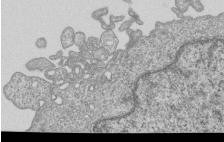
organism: Human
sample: MDA-MB-231 cells